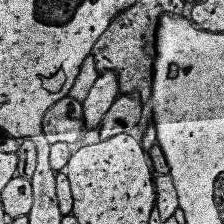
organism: Human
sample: Temporal Lobe